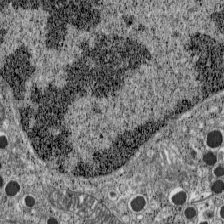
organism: C57BL Mouse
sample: Pancreatic islet